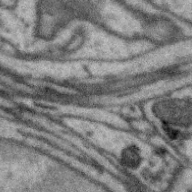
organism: Zebra finch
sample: Brain